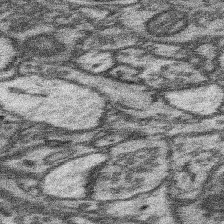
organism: Mouse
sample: Somatosensory cortex neuropil